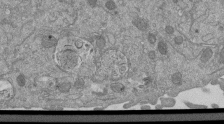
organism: Mouse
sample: ED-1 cell nuclei; centrioles